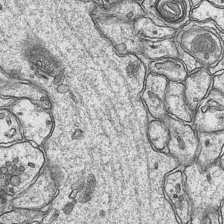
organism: Mouse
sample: CA1 Hippocampus